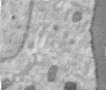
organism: Human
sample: Centriole in RPE cells